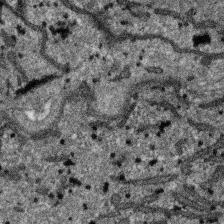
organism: Human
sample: Lung epithelial cells infected with SARS-CoV-2